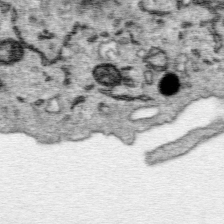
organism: Human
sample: HeLa cells